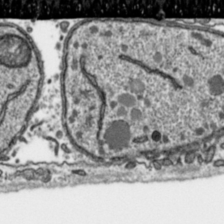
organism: Toxoplasma gondii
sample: Parasites in a vacuole inside a host cell